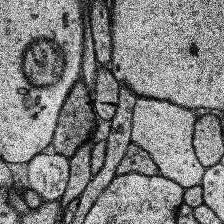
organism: Human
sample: Temporal Lobe